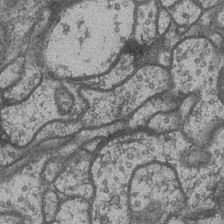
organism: Drosophila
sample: Optic medulla